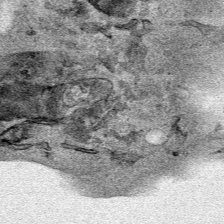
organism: Human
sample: Mitochondria in HCT116 cells